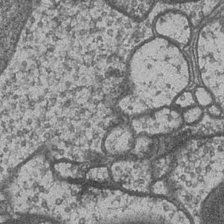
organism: Drosophila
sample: Optic medulla